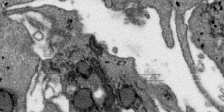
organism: Human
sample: Lung epithelial cells, uninfected (mock) control